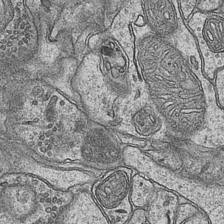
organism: Mouse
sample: CA1 Hippocampus